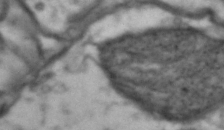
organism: Drosophila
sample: Brain